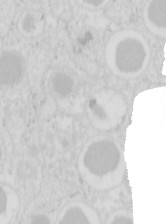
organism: Mouse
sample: Pancreas